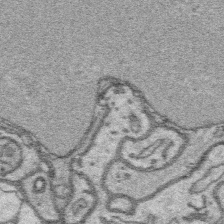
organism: Platynereis dumerilii